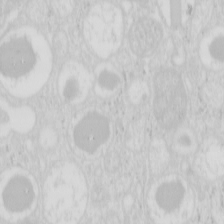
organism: Mouse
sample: Pancreas